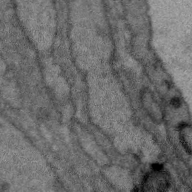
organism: Zebra finch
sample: Brain